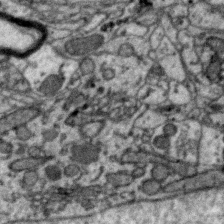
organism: Zebra finch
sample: Brain